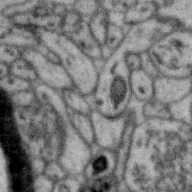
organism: Zebra finch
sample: Brain